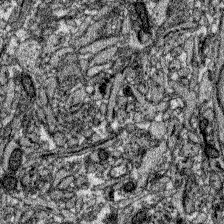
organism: Zebrafish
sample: Larval olfactory bulb